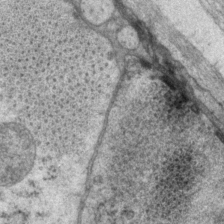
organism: P. pacificus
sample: Pharynx